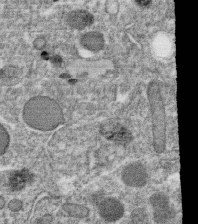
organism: C. elegans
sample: C. elegans oocyte; sperm cells